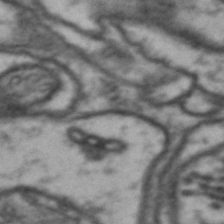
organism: Drosophila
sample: Brain